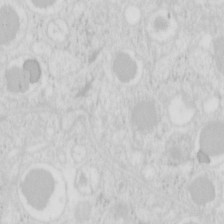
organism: Mouse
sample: Pancreas